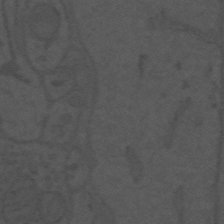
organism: Mouse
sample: Suprachiasmatic nucleus